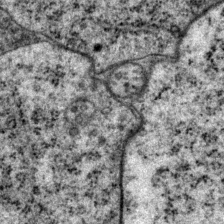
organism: P. pacificus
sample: Pharynx